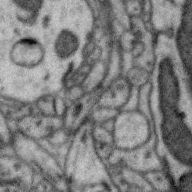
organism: Zebra finch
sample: Brain